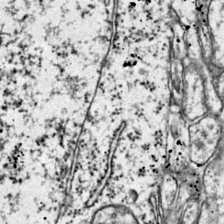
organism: Mouse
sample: Primary visual cortex